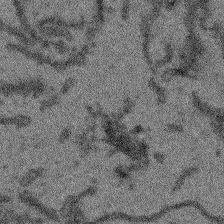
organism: Arabidopsis thaliana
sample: Root tip